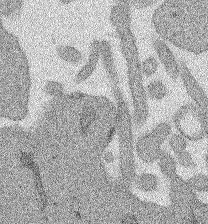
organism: Human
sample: HeLa cells